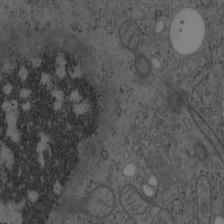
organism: Mouse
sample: OT-I killer T cells with ID8 ovarian cancer cells